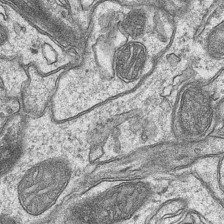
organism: Mouse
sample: CA1 Hippocampus